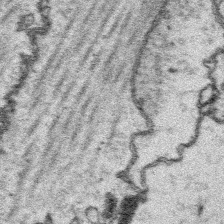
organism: Platynereis dumerilii